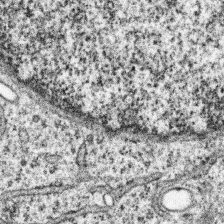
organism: Human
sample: HeLa cells